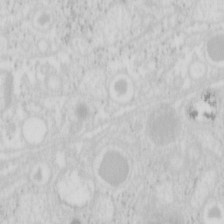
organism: Mouse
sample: Pancreas